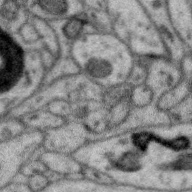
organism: Zebra finch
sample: Brain